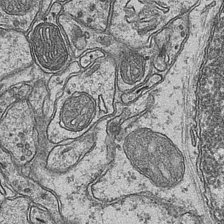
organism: Mouse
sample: CA1 Hippocampus